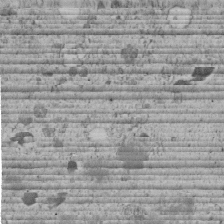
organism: C. elegans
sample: C. elegans embryo early stage